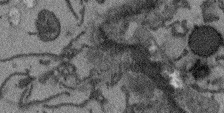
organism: Arabidopsis thaliana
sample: Root tip